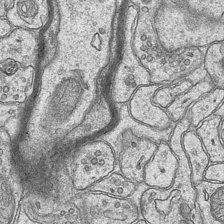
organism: Mouse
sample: CA1 Hippocampus